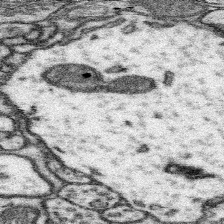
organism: Mouse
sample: Somatosensory cortex neuropil